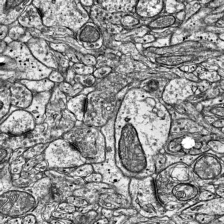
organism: Mouse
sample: Visual Cortex